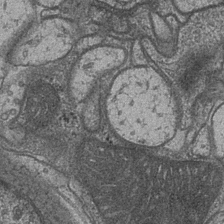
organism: Drosophila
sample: Optic medulla